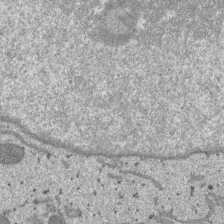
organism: Human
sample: Lung epithelial cells infected with SARS-CoV-2